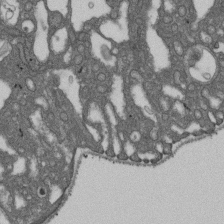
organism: Drosophila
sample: Nephrocyte